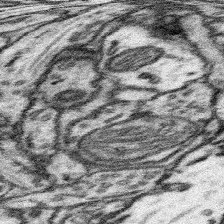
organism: Mouse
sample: Somatosensory cortex neuropil